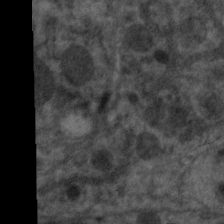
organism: C. elegans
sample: Pharynx